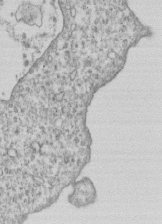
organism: Human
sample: MDA-MB-231 cells